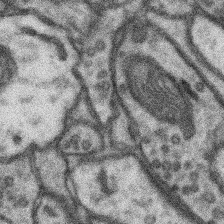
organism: Mouse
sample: Somatosensory cortex neuropil